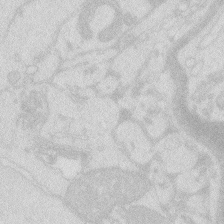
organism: Zebrafish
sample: Macrophage